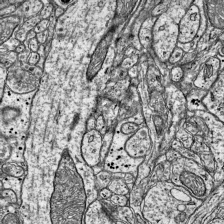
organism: Mouse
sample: Visual Cortex